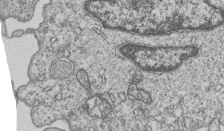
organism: Human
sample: MDA-MB-231 cells